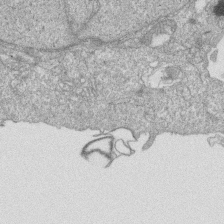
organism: Human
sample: HeLa cell HIV synapse